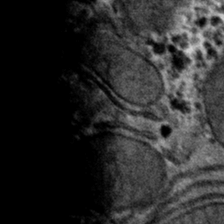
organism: Mouse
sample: Mouse hepatocytes